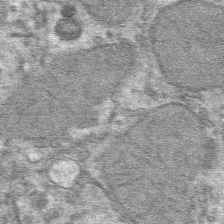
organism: Mouse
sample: Mouse hepatocytes